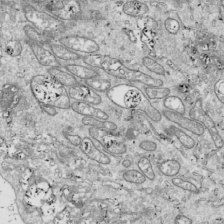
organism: Drosophila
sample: Cell division; meiosis; drosophila spermatocytes